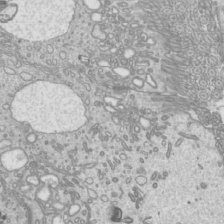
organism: Mouse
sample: Cilia; mouse epididymis